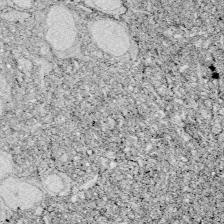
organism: Zebrafish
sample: Whole-Brain